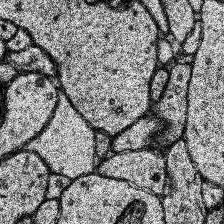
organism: Human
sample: Temporal Lobe